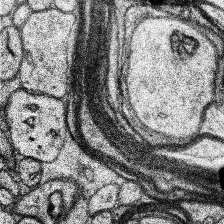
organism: Human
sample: Temporal Lobe